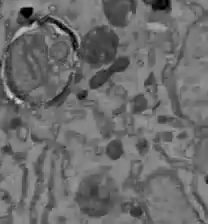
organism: C57BL Mouse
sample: Liver